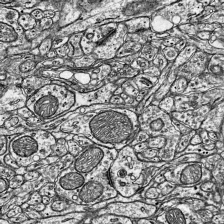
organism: Mouse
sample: Visual Cortex